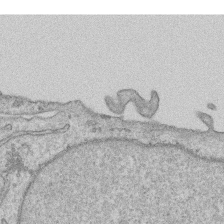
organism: Human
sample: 1205lu cells